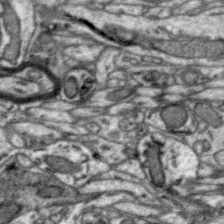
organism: Zebra finch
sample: Brain